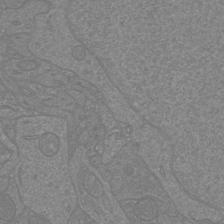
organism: Mouse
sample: Cortical neurons